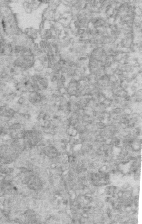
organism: Mouse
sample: Multiciliated cells